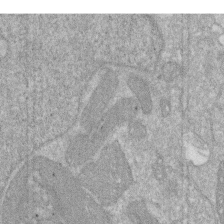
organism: Human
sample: HIV infected U937 cells